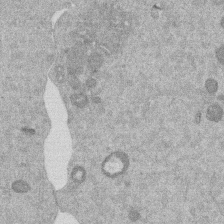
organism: Mouse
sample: Dividing mouse embryo 1 cell stage